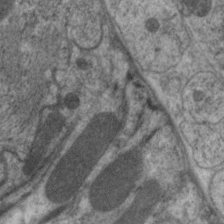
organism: C. elegans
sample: Pharynx